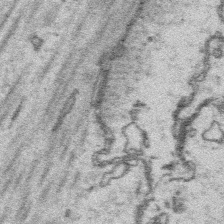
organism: Platynereis dumerilii